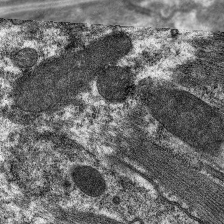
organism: C. elegans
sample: Pharynx